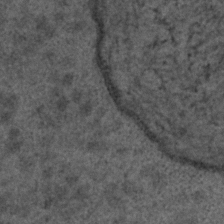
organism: C. elegans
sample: C. elegans embryo